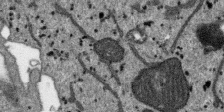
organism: Human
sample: Lung epithelial cells, uninfected (mock) control